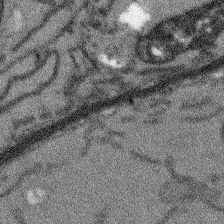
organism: Arabidopsis thaliana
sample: Root tip